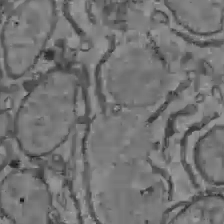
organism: C57BL Mouse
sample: Liver